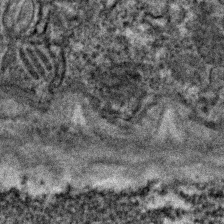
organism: C. elegans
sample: C. elegans embryo